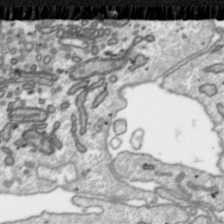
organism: Toxoplasma gondii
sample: Parasites in a vacuole inside a host cell